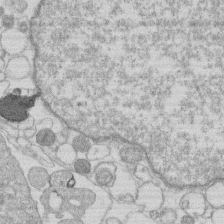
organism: Human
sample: Macrophage cells